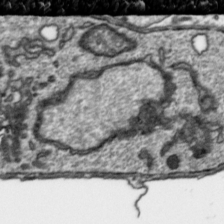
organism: Toxoplasma gondii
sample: Parasites in a vacuole inside a host cell